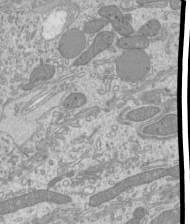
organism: Mouse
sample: Cilia; mouse epididymis